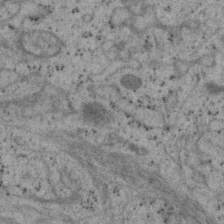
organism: Human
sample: HeLa cells